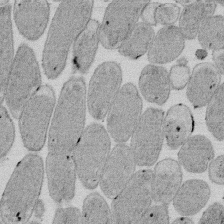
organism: E. coli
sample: Bacterial nucleoid